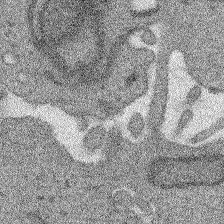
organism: Human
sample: HeLa cells